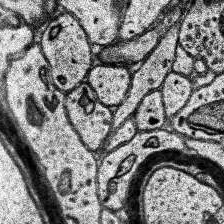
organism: Human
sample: Temporal Lobe